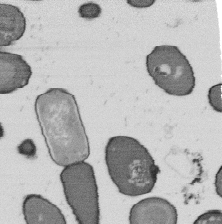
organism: B. subtilis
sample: Bacterial spore